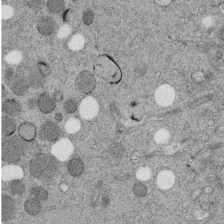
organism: C. elegans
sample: C. elegans embryo early stage